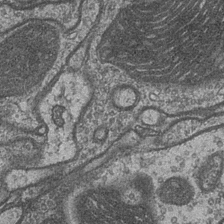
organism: Drosophila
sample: Optic medulla